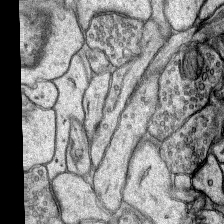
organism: Rat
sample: Hippocampus